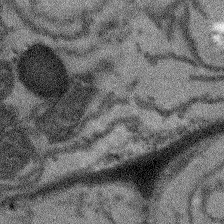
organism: Arabidopsis thaliana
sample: Root tip